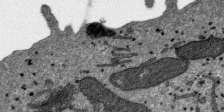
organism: Human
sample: Lung epithelial cells, uninfected (mock) control